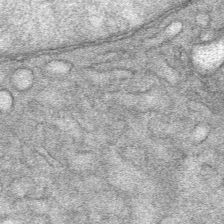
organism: Mouse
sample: Mouse Salivary gland